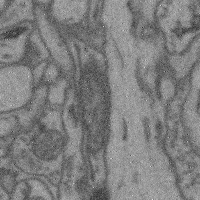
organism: Mouse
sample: Cerebral cortex